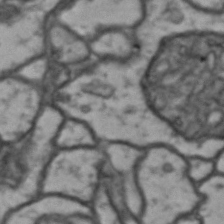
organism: Drosophila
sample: Brain